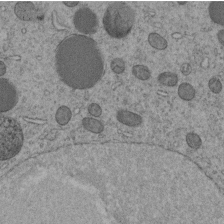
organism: C. elegans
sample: C. elegans embryo early stage